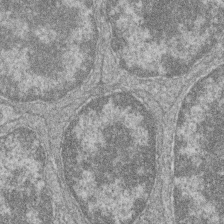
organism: Zebrafish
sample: Cilia; retinal pigment epithelium